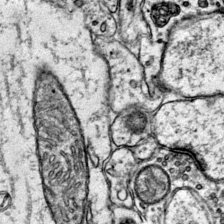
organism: Mouse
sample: Primary visual cortex